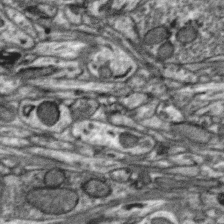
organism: Zebra finch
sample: Brain